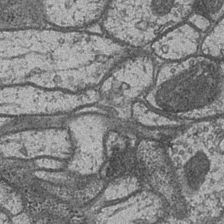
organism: Drosophila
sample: Optic medulla